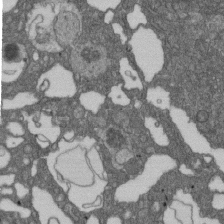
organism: Drosophila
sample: Nephrocyte